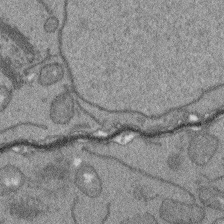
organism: Arabidopsis thaliana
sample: Root tip